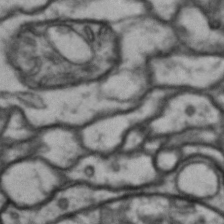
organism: Drosophila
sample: Brain